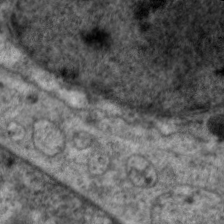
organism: C. elegans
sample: Pharynx